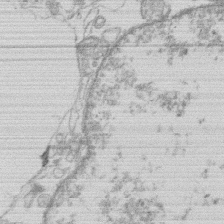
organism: Human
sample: Macrophage cells